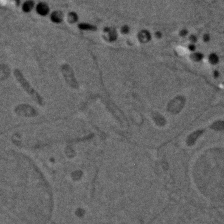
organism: Zebrafish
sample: Zebrafish embryo